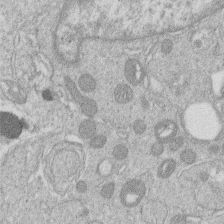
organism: Human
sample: Macrophage cells